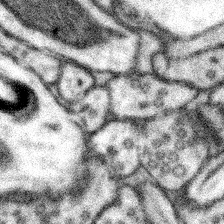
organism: Mouse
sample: Somatosensory cortex neuropil